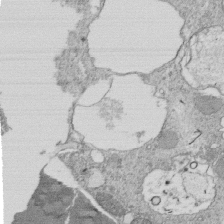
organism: Tetrahymena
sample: Cilia in tetrahymena